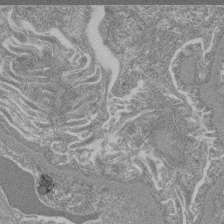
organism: Mouse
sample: Glomerulus